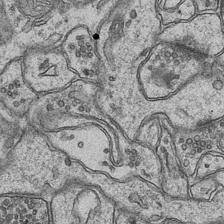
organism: Mouse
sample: CA1 Hippocampus